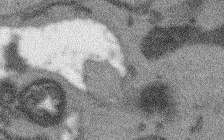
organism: Arabidopsis thaliana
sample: Root tip